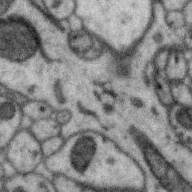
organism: Zebra finch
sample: Brain